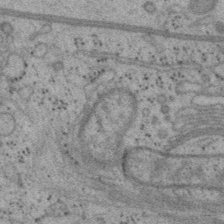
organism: Human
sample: HeLa cells